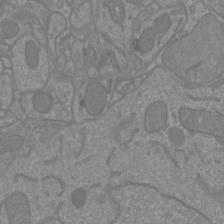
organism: Mouse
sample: Cortical neurons